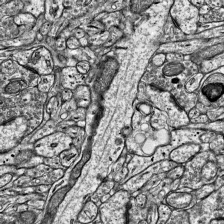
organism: Mouse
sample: Visual Cortex